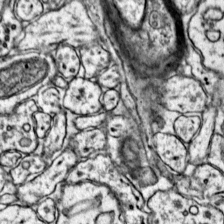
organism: Mouse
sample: Primary visual cortex